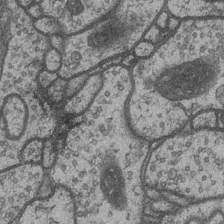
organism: Drosophila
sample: Optic medulla